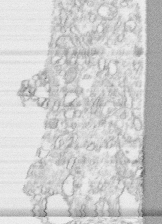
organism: Human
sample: CRL-1474